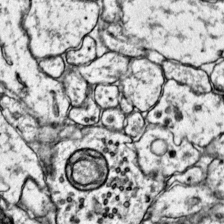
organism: Mouse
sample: Primary visual cortex